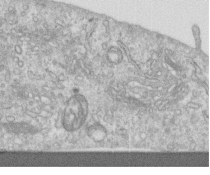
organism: Human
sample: Centriole in RPE cells